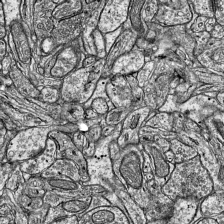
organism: Mouse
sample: Visual Cortex